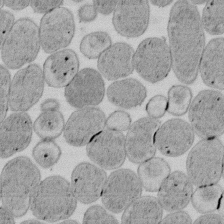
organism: E. coli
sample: Bacterial nucleoid